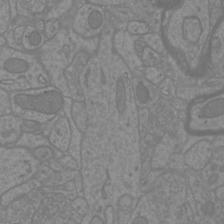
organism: Mouse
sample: Cortical neurons